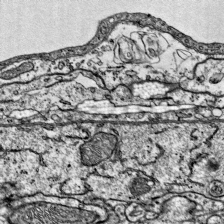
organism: Mouse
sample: Visual Cortex